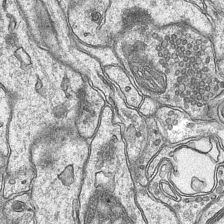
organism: Mouse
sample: CA1 Hippocampus